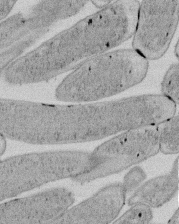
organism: E. coli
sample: Bacterial nucleoid